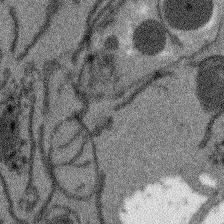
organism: Arabidopsis thaliana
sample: Root tip